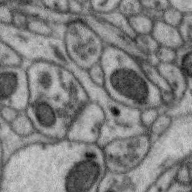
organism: Zebra finch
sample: Brain